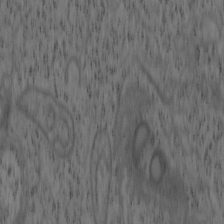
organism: Human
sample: HeLa cells